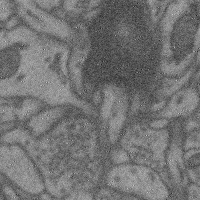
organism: Mouse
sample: Cerebral cortex